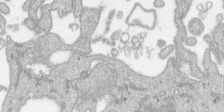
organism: Human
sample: Lung epithelial cells infected with SARS-CoV-2